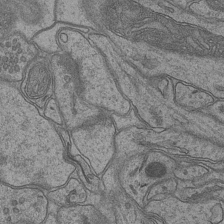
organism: Mouse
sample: CA1 Hippocampus